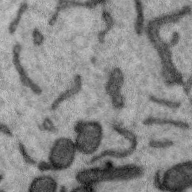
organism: Zebra finch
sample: Brain